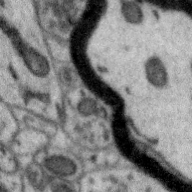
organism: Zebra finch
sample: Brain